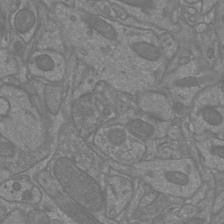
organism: Mouse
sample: Cortical neurons